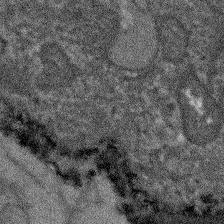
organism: Arabidopsis thaliana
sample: Root tip